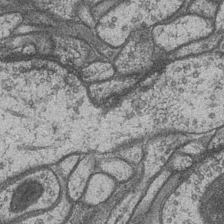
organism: Drosophila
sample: Optic medulla